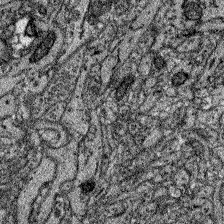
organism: Zebrafish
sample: Larval olfactory bulb